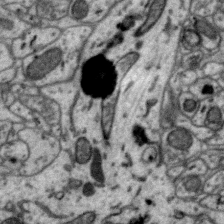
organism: Zebra finch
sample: Brain